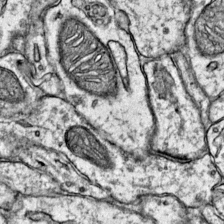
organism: Mouse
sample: Primary visual cortex